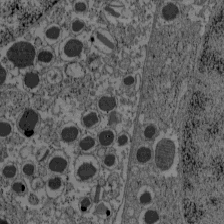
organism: C57BL Mouse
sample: Pancreatic islet